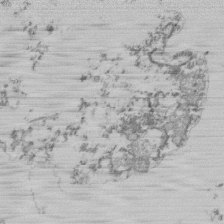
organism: Mouse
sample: Activated Pmel transgenic CD8+ T Cells